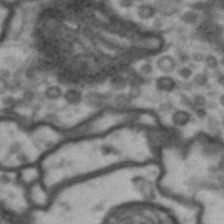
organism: Drosophila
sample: Brain